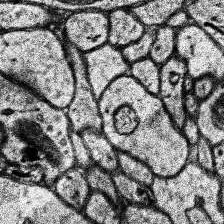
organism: Human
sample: Temporal Lobe